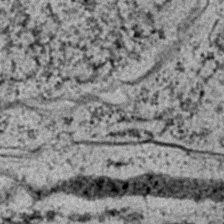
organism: C. elegans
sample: C. elegans embryo